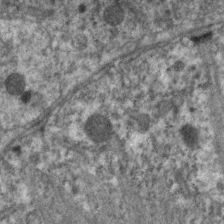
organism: C. elegans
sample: Pharynx